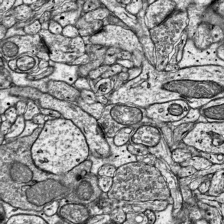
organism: Mouse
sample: Visual Cortex